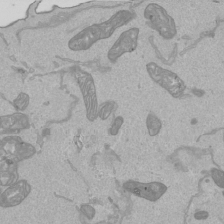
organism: Human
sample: Mitochondria in HCT116 cells